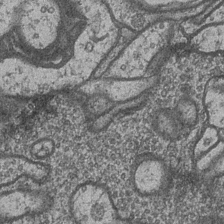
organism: Drosophila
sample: Optic medulla